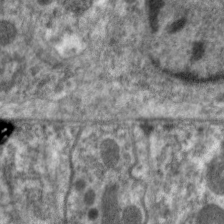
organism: C. elegans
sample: Pharynx